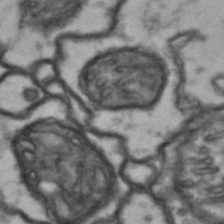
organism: Drosophila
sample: Brain